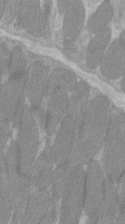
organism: C57BL Mouse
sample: Tibialis anterior muscle cell